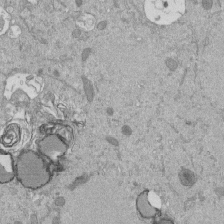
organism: Mouse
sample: ED-1 cell nuclei; centrioles